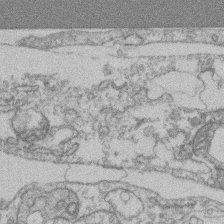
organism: Mouse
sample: T cell stromal cell synapse